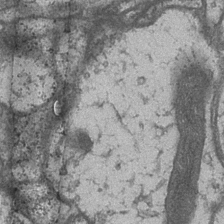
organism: Drosophila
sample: Optic medulla